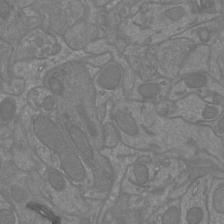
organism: Mouse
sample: Cortical neurons